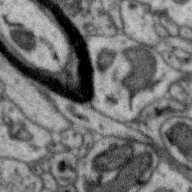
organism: Zebra finch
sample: Brain